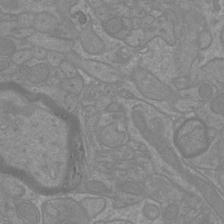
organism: Mouse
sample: Cortical neurons